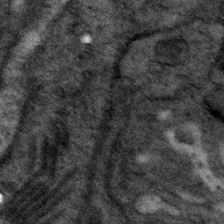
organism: P. pacificus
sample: Pharynx